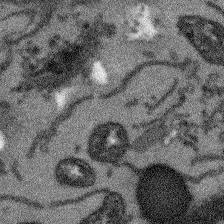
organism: Arabidopsis thaliana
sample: Root tip